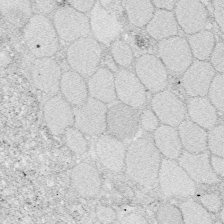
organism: Zebrafish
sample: Whole-Brain